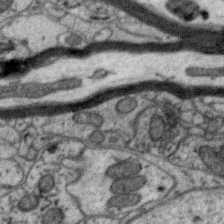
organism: Zebra finch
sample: Brain